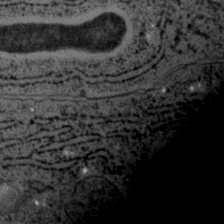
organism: C. elegans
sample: C. elegans embryo